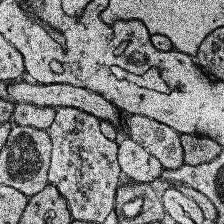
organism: Human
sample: Temporal Lobe